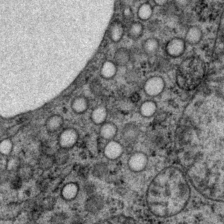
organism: P. pacificus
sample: Pharynx